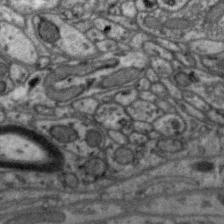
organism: Zebra finch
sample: Brain